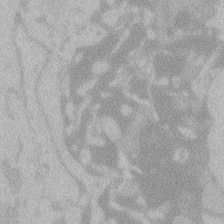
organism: Zebrafish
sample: Macrophage infected with Toxoplasma gondii